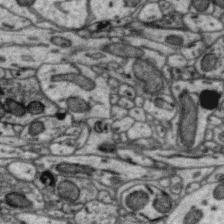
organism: Zebra finch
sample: Brain